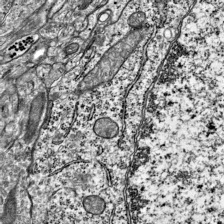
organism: Mouse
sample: Visual Cortex